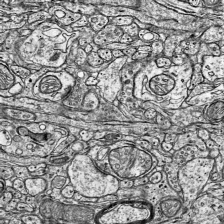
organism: Mouse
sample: Visual Cortex